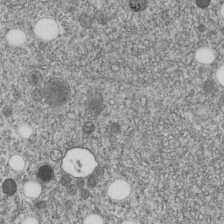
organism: C. elegans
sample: C. elegans embryo early stage